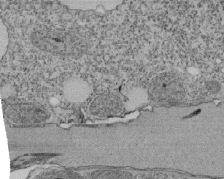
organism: Tetrahymena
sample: Cilia in tetrahymena